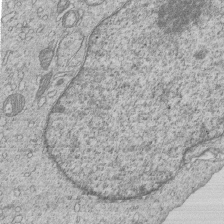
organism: Human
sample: MDA-MB-231 cells